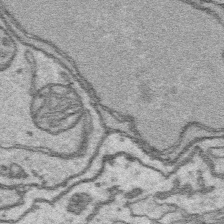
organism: Platynereis dumerilii